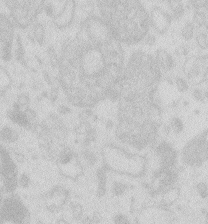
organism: Zebrafish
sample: Macrophage